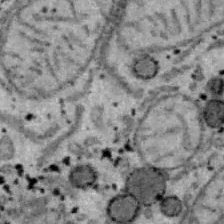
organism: Mouse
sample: Liver from an obese (ob/ob) mouse